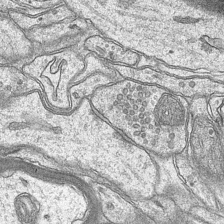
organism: Mouse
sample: CA1 Hippocampus